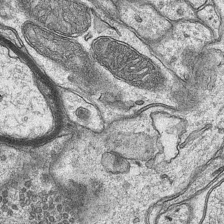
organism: Mouse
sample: CA1 Hippocampus